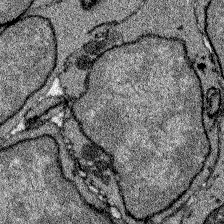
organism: Zebrafish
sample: Larval olfactory bulb